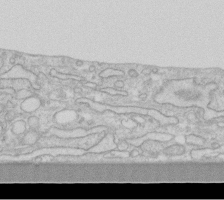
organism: Human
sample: Fibroblast cells